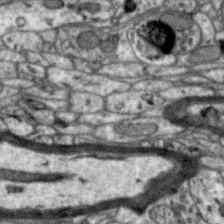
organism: Zebra finch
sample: Brain